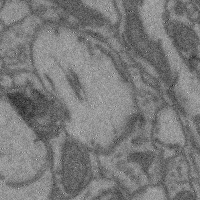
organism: Mouse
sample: Cerebral cortex